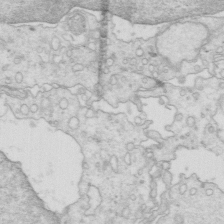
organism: Mouse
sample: Multiciliated cells